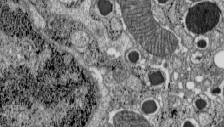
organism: C57BL Mouse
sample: Pancreatic islet